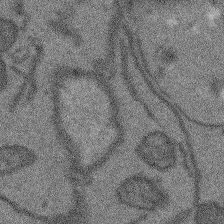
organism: Arabidopsis thaliana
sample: Root tip